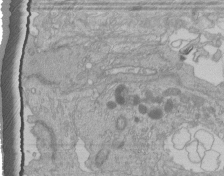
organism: Human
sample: Retinal organoid Rod and Cone cells